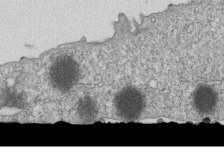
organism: Human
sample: HeLa cell HIV synapse